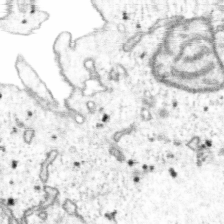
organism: Human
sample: HeLa cells